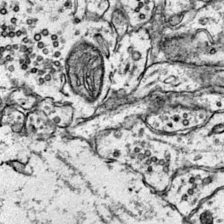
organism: Mouse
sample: Primary visual cortex